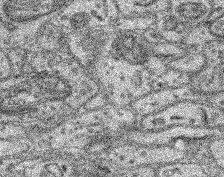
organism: Mouse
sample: Retina